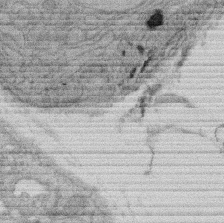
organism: Rat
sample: Salivary granule